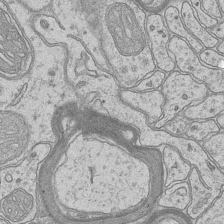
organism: Mouse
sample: CA1 Hippocampus